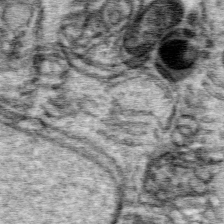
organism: Human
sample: HeLa cells